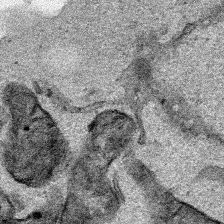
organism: Human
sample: Mitochondria in HCT116 cells